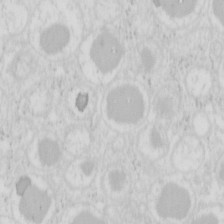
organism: Mouse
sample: Pancreas